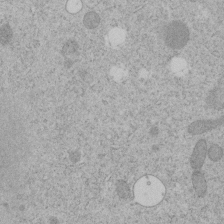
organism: C. elegans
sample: C. elegans embryo early stage